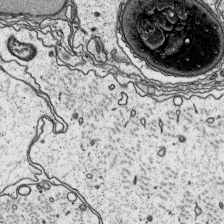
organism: Platynereis dumerilii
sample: Parapodia